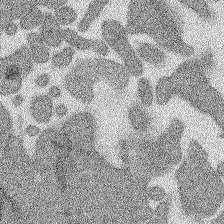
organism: Human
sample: HeLa cells